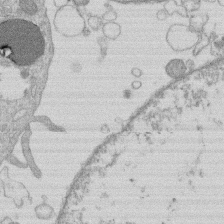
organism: Human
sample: Macrophage cells